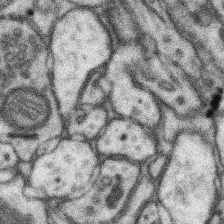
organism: Mouse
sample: Somatosensory cortex neuropil